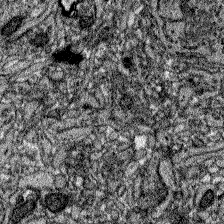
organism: Zebrafish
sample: Larval olfactory bulb